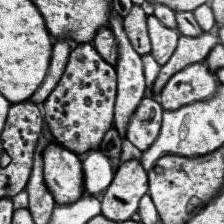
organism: Human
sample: Temporal Lobe